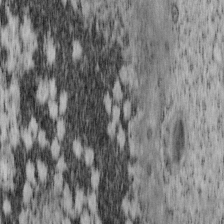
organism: Human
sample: HeLa cells